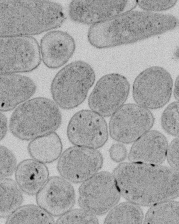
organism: E. coli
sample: Bacterial nucleoid